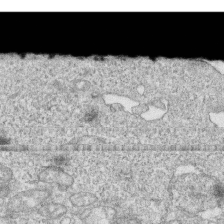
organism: Human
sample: HeLa cell HIV synapse